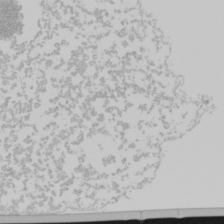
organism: Mouse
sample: Cancer cell death in ED-1 cells